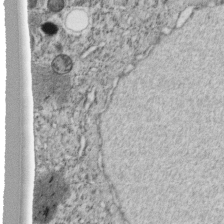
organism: C. elegans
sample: C. elegans embryo early stage